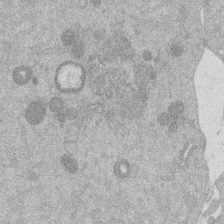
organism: Mouse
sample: Dividing mouse embryo 1 cell stage